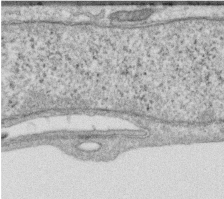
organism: Human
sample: Centriole in RPE cells